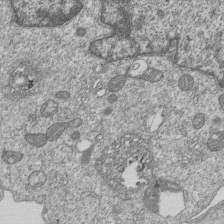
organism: Human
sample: MDA-MB-231 cells